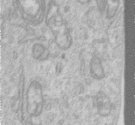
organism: Human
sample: Centriole in RPE cells